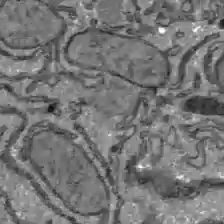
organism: C57BL Mouse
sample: Liver